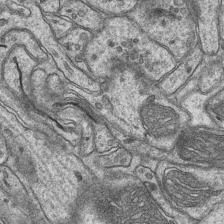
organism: Mouse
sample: CA1 Hippocampus